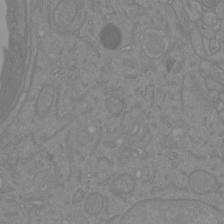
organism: Mouse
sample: Cortical neurons